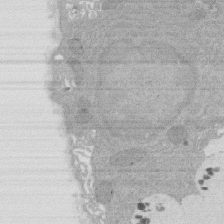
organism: Rat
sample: Salivary granule